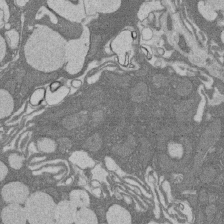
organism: Rat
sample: Salivary granule